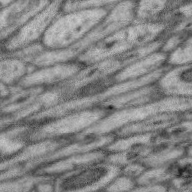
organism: Zebra finch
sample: Brain